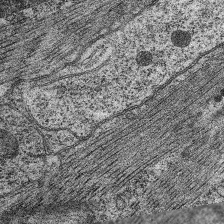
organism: C. elegans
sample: Pharynx